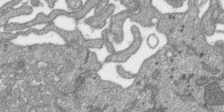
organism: Human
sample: Lung epithelial cells infected with SARS-CoV-2